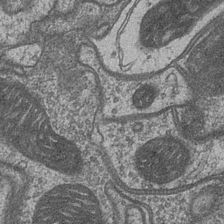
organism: Drosophila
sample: Optic medulla